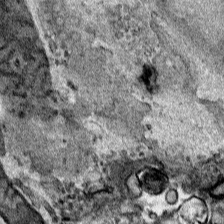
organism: Human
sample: Mitochondria in HCT116 cells